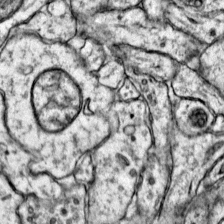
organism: Mouse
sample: Primary visual cortex